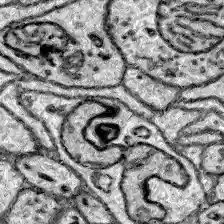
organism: Zebrafish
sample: Brain